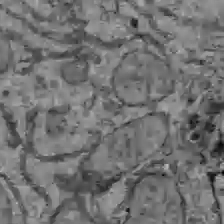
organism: C57BL Mouse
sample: Liver